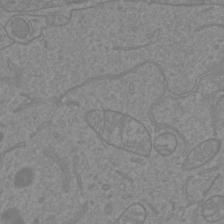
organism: Mouse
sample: Cortical neurons